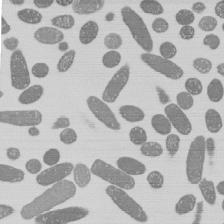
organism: E. coli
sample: Bacterial nucleoid